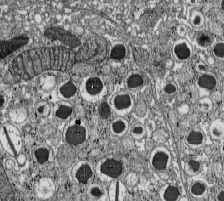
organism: C57BL Mouse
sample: Pancreatic islet